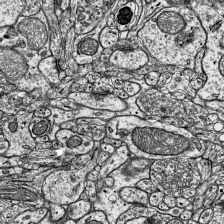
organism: Mouse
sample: Visual Cortex